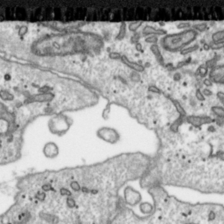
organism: Toxoplasma gondii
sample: Parasites in a vacuole inside a host cell